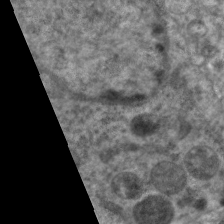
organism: C. elegans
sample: Pharynx